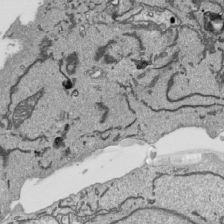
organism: Human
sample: Mitochondria in HCT116 cells